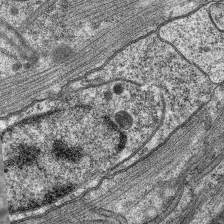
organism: C. elegans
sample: Pharynx